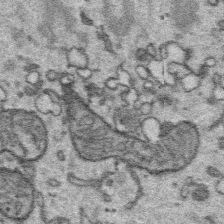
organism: Platynereis dumerilii